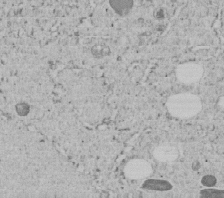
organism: C. elegans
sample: C. elegans embryo early stage